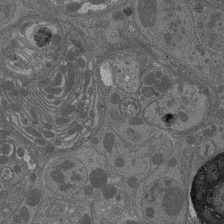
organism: Drosophila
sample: Antenna